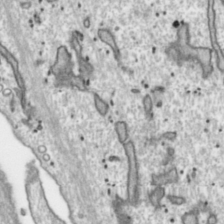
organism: Toxoplasma gondii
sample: Parasites in a vacuole inside a host cell